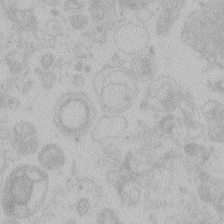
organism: Zebrafish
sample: Macrophage infected with Toxoplasma gondii